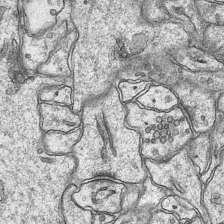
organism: Mouse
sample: CA1 Hippocampus